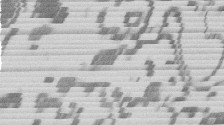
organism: Mouse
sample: Dividing mouse embryo 1 cell stage